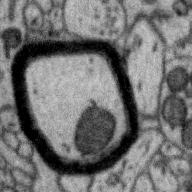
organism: Zebra finch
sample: Brain